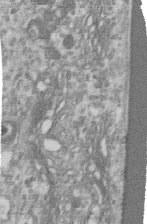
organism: Human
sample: Centriole in RPE cells